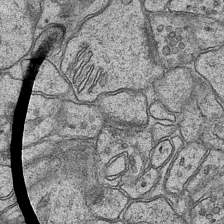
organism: Mouse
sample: CA1 Hippocampus